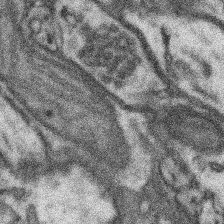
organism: Mouse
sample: Somatosensory cortex neuropil